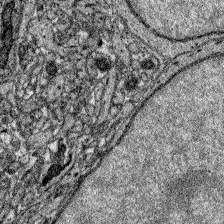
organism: Zebrafish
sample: Larval olfactory bulb